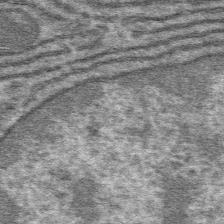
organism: Mouse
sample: Mouse hepatocytes